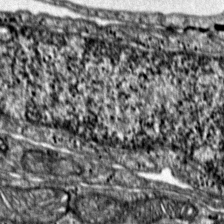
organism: Mouse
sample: Primary visual cortex